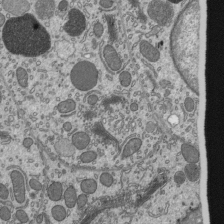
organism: Mouse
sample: Mouse epididymis efferent ductule cilia